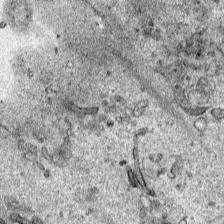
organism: Human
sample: Mitochondria in HCT116 cells